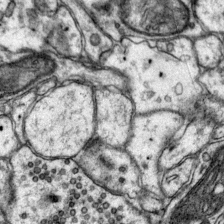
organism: Mouse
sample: Primary visual cortex